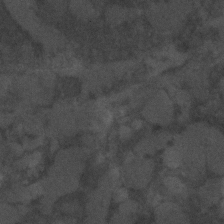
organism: C. elegans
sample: C. elegans embryo